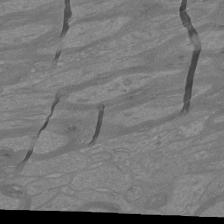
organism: Mouse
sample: Cortical neurons